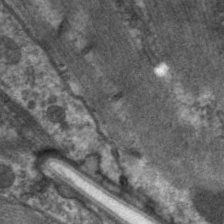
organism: C. elegans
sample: Pharynx